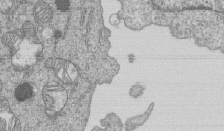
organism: Human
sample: MDA-MB-231 cells